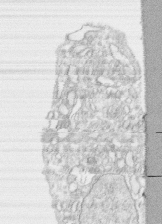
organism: Human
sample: CRL-1474